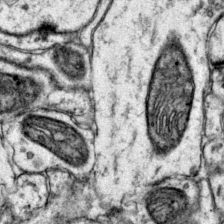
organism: Mouse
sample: Primary visual cortex